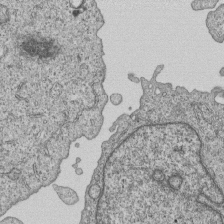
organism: Human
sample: MDA-MB-231 cells